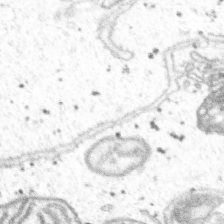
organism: Human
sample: HeLa cells